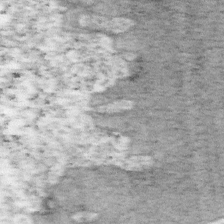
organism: Mouse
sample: OT-I killer T cells with ID8 ovarian cancer cells